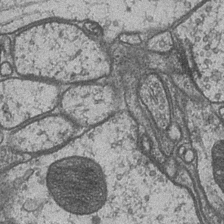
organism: Drosophila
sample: Optic medulla